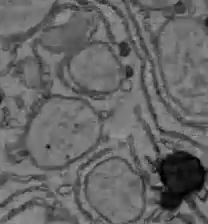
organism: C57BL Mouse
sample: Liver